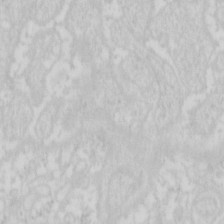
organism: Mouse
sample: Pancreas